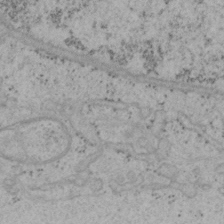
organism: Human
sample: HeLa cells